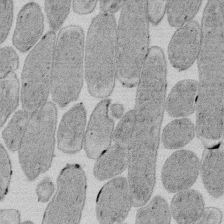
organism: E. coli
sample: Bacterial nucleoid